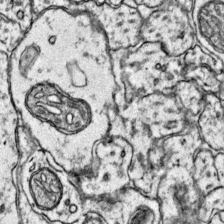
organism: Mouse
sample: Primary visual cortex